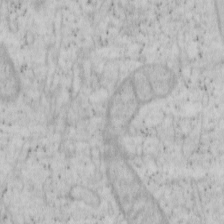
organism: Human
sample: HeLa cells